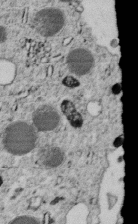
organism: C. elegans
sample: C. elegans embryo early stage